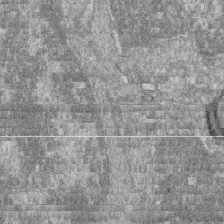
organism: Zebrafish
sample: Cilia; retinal pigment epithelium